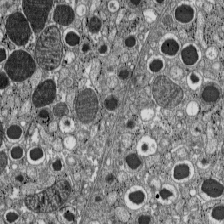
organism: C57BL Mouse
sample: Pancreatic islet